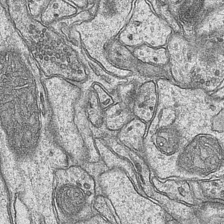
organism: Mouse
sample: CA1 Hippocampus